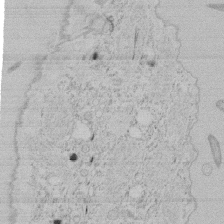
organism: Tetrahymena